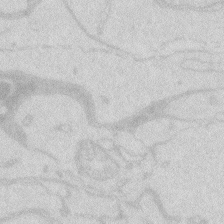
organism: Zebrafish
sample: Macrophage